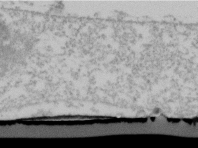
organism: Human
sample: U2-OS cells